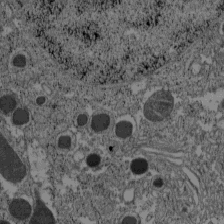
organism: C57BL Mouse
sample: Pancreatic islet